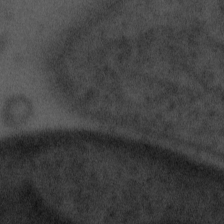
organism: Tuwongella immobilis